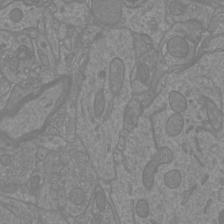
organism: Mouse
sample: Cortical neurons